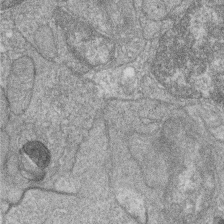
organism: Zebrafish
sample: Cilia; retinal pigment epithelium